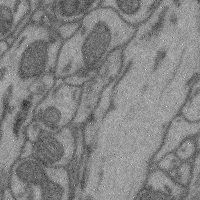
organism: Mouse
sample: Cerebral cortex